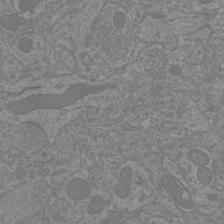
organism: Mouse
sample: Cortical neurons